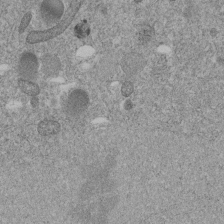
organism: C. elegans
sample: C. elegans embryo early stage